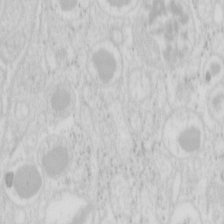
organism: Mouse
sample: Pancreas